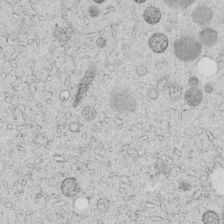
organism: C. elegans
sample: C. elegans embryo early stage